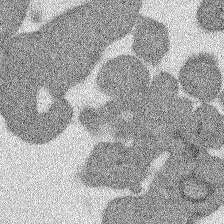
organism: Human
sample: HeLa cells